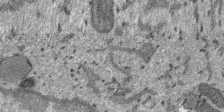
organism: Human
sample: Lung epithelial cells infected with SARS-CoV-2